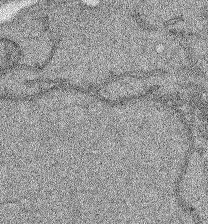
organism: Human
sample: HeLa cells